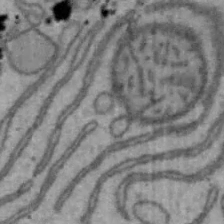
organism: Mouse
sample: Liver